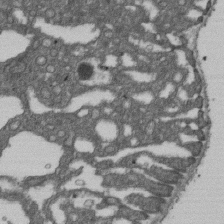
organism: Drosophila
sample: Nephrocyte